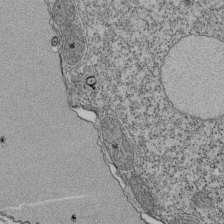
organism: Tetrahymena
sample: Cilia in tetrahymena